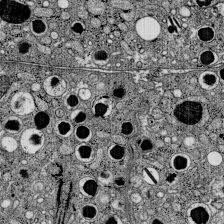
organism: C57BL Mouse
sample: Pancreatic islet